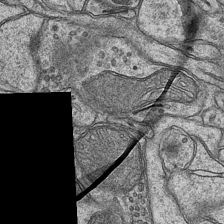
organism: Mouse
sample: CA1 Hippocampus